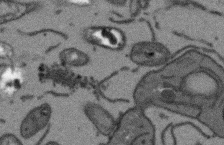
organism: Arabidopsis thaliana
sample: Root tip